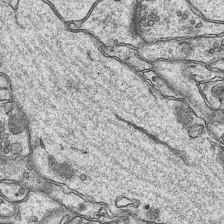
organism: Mouse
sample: CA1 Hippocampus